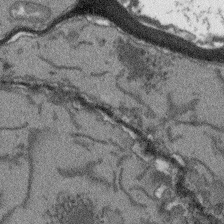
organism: Arabidopsis thaliana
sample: Root tip